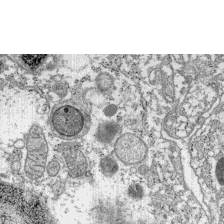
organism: C57BL Mouse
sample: Pancreatic islet